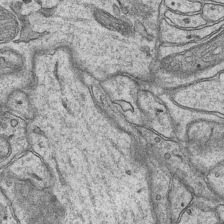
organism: Mouse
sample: CA1 Hippocampus